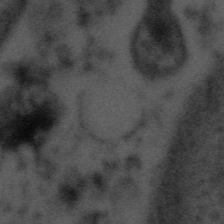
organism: Tuwongella immobilis